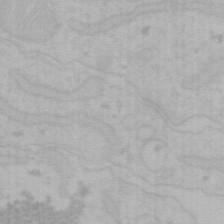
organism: Mouse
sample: Choroid plexus